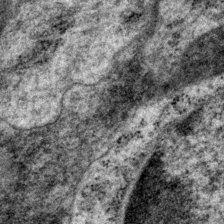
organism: P. pacificus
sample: Pharynx